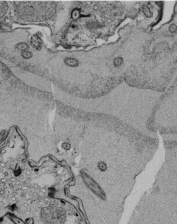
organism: Tetrahymena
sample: Cilia in tetrahymena